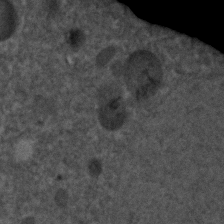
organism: C. elegans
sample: C. elegans embryo